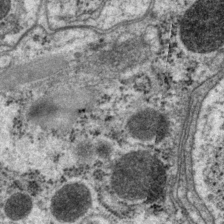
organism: P. pacificus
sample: Pharynx